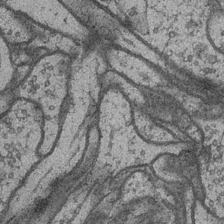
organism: Drosophila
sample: Optic medulla